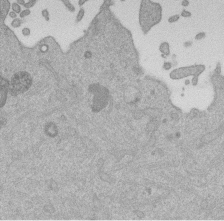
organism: Mouse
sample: Dividing mouse embryo 1 cell stage